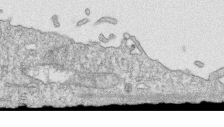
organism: Human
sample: HeLa cell HIV synapse